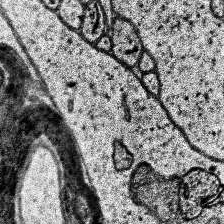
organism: Human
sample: Temporal Lobe